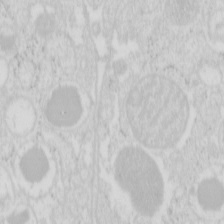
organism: Mouse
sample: Pancreas